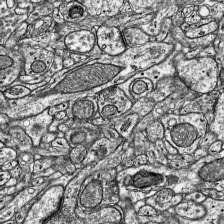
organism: Mouse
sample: Visual Cortex